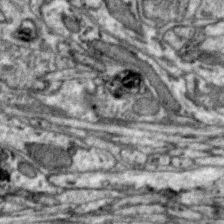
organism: Zebra finch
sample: Brain